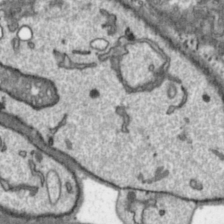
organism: Toxoplasma gondii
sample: Parasites in a vacuole inside a host cell